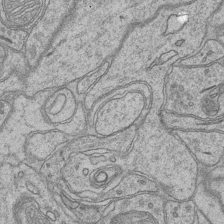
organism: Mouse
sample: CA1 Hippocampus